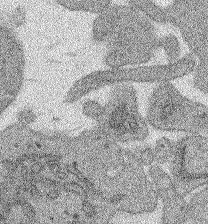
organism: Human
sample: HeLa cells